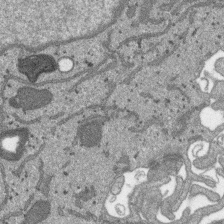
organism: Human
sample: Lung epithelial cells infected with SARS-CoV-2